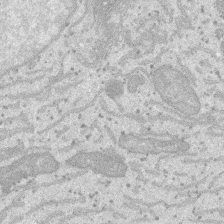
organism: Human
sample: Lung epithelial cells infected with SARS-CoV-2